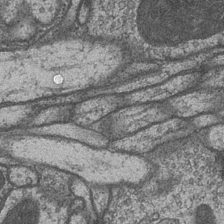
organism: Drosophila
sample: Optic medulla